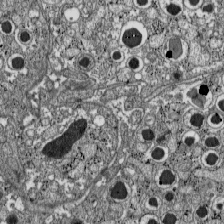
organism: C57BL Mouse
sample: Pancreatic islet